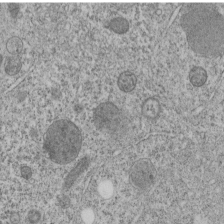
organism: C. elegans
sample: C. elegans embryo early stage